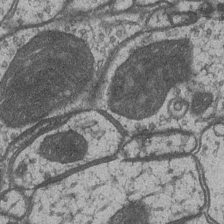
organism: Drosophila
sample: Optic medulla